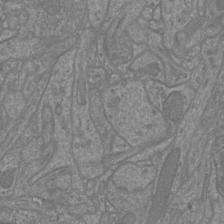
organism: Mouse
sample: Cortical neurons